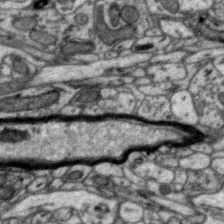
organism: Zebra finch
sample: Brain